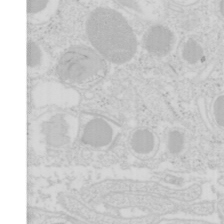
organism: Mouse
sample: Pancreas